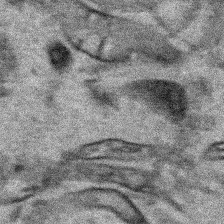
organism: Human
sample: Mitochondria in HCT116 cells